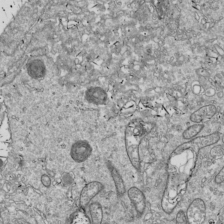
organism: Drosophila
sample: Cell division; meiosis; drosophila spermatocytes